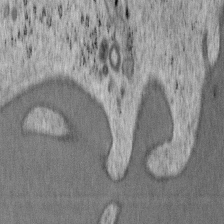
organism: Human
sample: HeLa cells